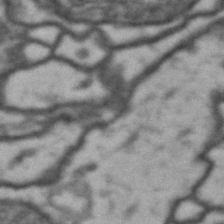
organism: Drosophila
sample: Brain